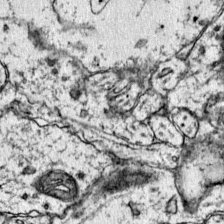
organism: Mouse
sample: Primary visual cortex